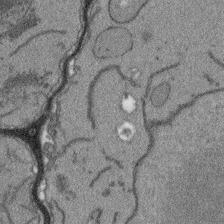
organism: Arabidopsis thaliana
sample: Root tip